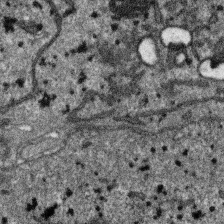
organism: Human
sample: Lung epithelial cells infected with SARS-CoV-2